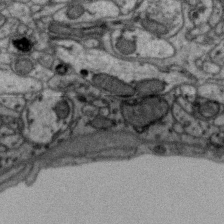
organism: Zebra finch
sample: Brain